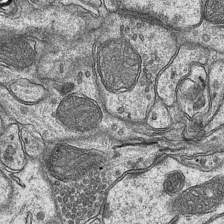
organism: Mouse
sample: CA1 Hippocampus